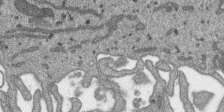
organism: Human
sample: Lung epithelial cells infected with SARS-CoV-2